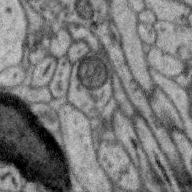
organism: Zebra finch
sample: Brain